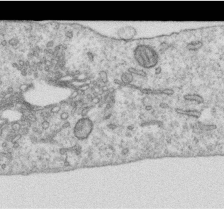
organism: Human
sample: Centriole in RPE cells